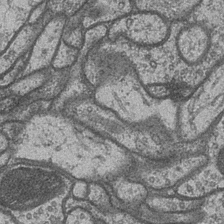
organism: Drosophila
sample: Optic medulla